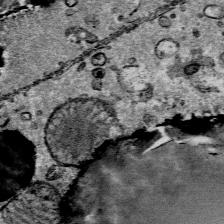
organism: Mouse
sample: Mouse Salivary gland